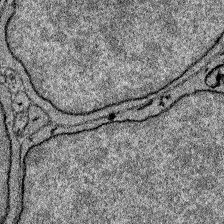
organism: Zebrafish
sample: Larval olfactory bulb